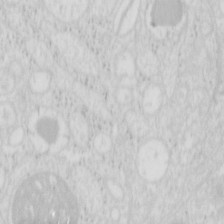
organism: Mouse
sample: Pancreas